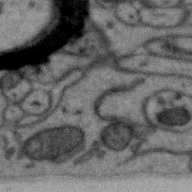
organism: Zebra finch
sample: Brain